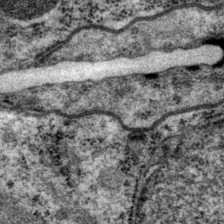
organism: P. pacificus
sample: Pharynx